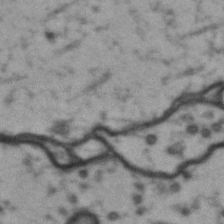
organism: Drosophila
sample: Brain